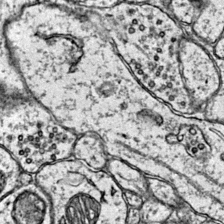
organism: Mouse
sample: Primary visual cortex